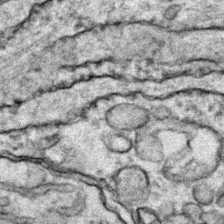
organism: Zebrafish